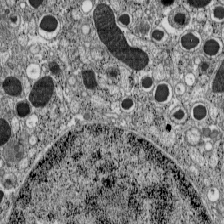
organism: C57BL Mouse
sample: Pancreatic islet